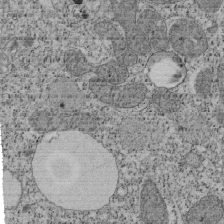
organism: Tetrahymena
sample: Cilia in tetrahymena